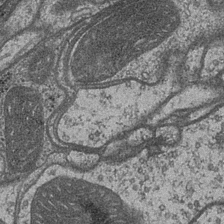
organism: Drosophila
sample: Optic medulla